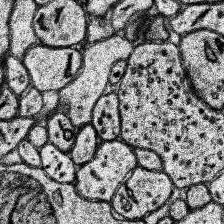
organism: Human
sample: Temporal Lobe